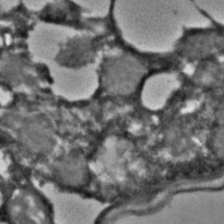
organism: C. elegans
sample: C. elegans embryo